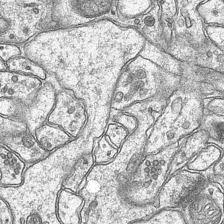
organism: Mouse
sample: CA1 Hippocampus